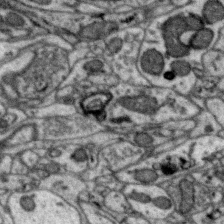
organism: Zebra finch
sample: Brain